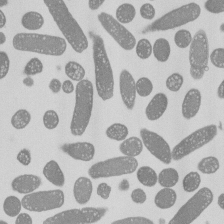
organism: E. coli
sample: Bacterial nucleoid